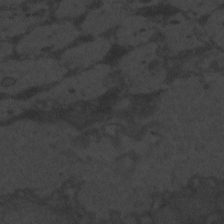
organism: Zebrafish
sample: Macrophage infected with Toxoplasma gondii